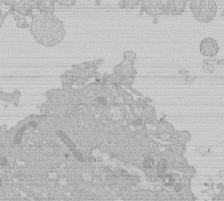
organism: Human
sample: Macrophage cells